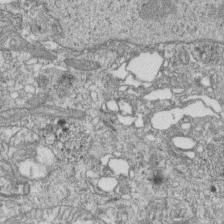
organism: Human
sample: HeLa cell HIV synapse